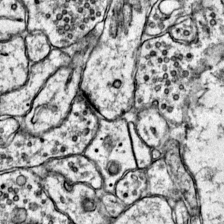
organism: Mouse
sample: Primary visual cortex